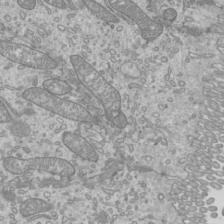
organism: Mouse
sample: Cilia; mouse epididymis